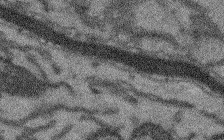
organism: Arabidopsis thaliana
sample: Root tip